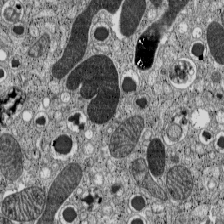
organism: C57BL Mouse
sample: Pancreatic islet